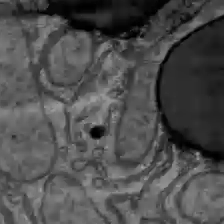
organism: C57BL Mouse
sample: Liver